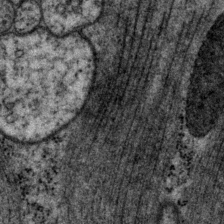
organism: P. pacificus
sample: Pharynx